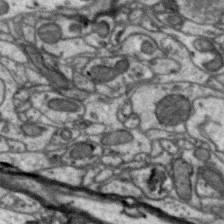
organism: Zebra finch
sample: Brain